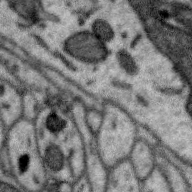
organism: Zebra finch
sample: Brain